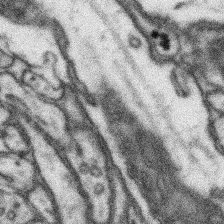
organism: Mouse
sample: Somatosensory cortex neuropil